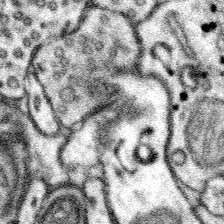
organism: Mouse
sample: Somatosensory cortex neuropil